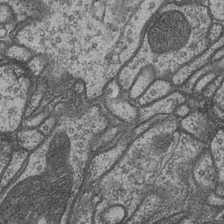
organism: Drosophila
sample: Optic medulla